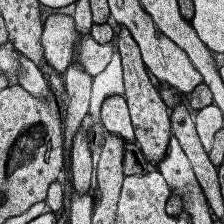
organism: Human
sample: Temporal Lobe